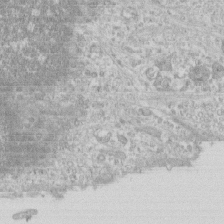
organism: Human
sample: CRL-1474